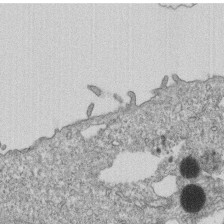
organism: Human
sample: HeLa cell HIV synapse